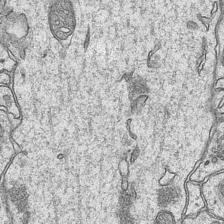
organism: Mouse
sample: CA1 Hippocampus